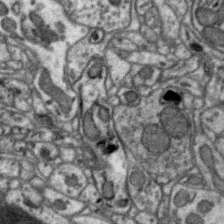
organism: Zebra finch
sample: Brain